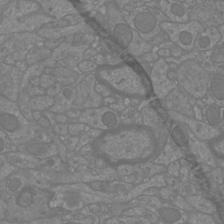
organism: Mouse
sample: Cortical neurons